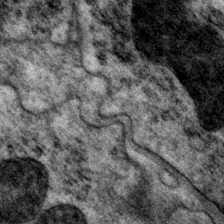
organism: P. pacificus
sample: Pharynx